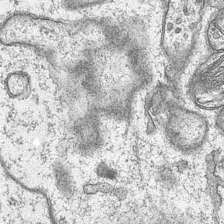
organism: Mouse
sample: CA1 Hippocampus